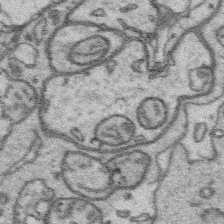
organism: Platynereis dumerilii